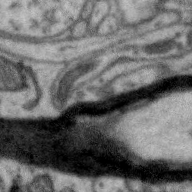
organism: Zebra finch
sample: Brain